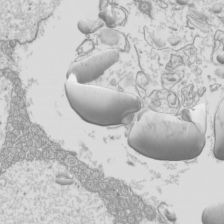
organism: Mouse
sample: Cilia; mouse epididymis